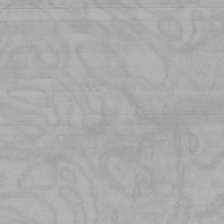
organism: Mouse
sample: Choroid plexus